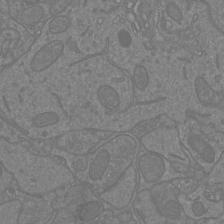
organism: Mouse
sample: Cortical neurons